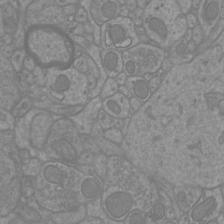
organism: Mouse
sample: Cortical neurons